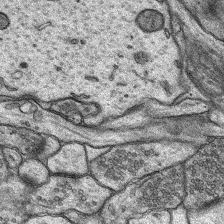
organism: Rat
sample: Hippocampus